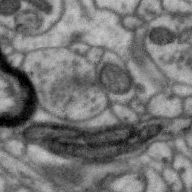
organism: Zebra finch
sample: Brain